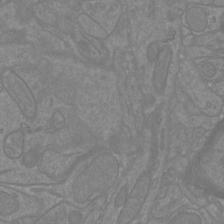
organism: Mouse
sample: Cortical neurons